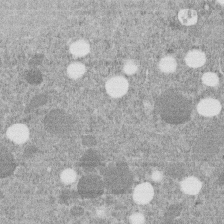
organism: C. elegans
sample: C. elegans embryo early stage